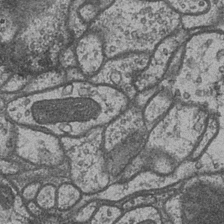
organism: Drosophila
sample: Optic medulla